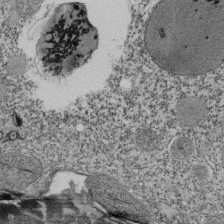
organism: Tetrahymena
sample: Cilia in tetrahymena